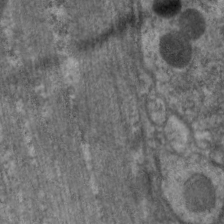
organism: C. elegans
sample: Pharynx